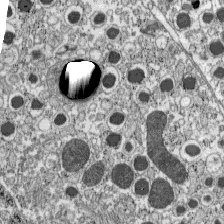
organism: C57BL Mouse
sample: Pancreatic islet